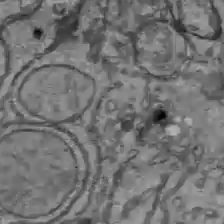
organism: C57BL Mouse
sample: Liver